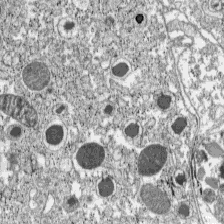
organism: C57BL Mouse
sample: Pancreatic islet